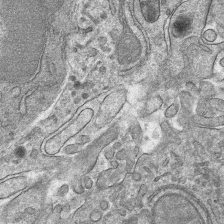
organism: Mouse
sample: Mouse hepatocytes